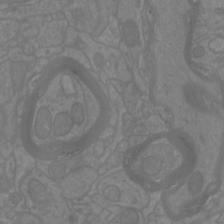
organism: Mouse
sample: Cortical neurons